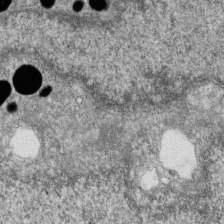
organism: Zebrafish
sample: Cilia; retinal pigment epithelium